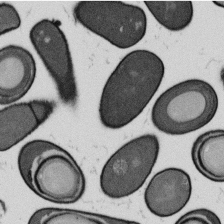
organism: B. subtilis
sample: Bacterial spore